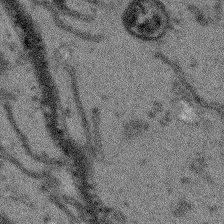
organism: Arabidopsis thaliana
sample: Root tip